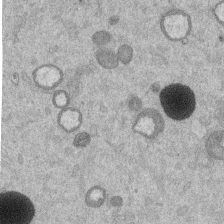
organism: Mouse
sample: Dividing mouse embryo 1 cell stage